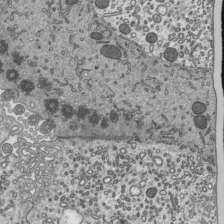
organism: Mouse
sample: Mouse epididymis efferent ductule cilia